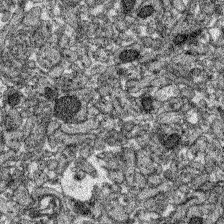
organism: Zebrafish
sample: Larval olfactory bulb